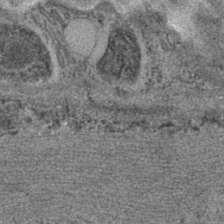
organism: C. elegans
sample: C. elegans embryo